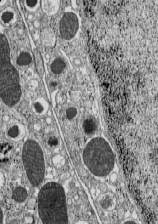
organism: C57BL Mouse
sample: Pancreatic islet